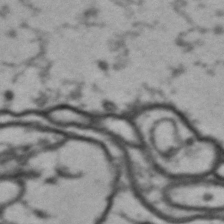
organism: Drosophila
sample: Brain